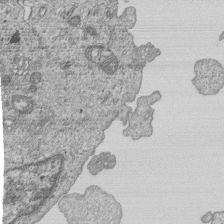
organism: Human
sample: MDA-MB-231 cells